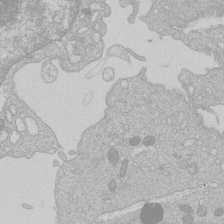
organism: Human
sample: Macrophage cells